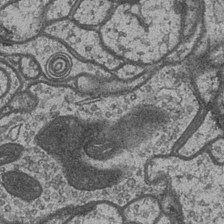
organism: Drosophila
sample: Optic medulla